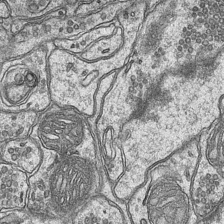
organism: Mouse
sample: CA1 Hippocampus